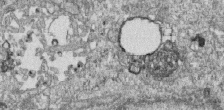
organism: Human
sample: HeLa cell HIV synapse